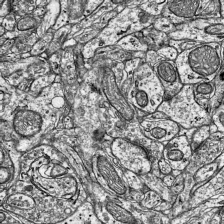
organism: Mouse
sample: Visual Cortex